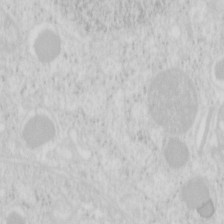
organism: Mouse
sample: Pancreas